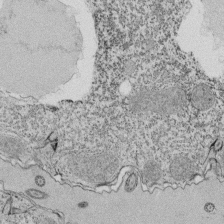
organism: Tetrahymena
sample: Cilia in tetrahymena